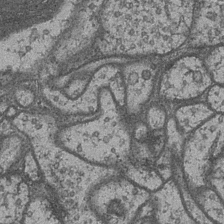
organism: Drosophila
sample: Optic medulla